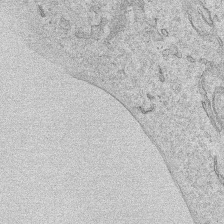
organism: Human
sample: Mitochondria in HCT116 cells